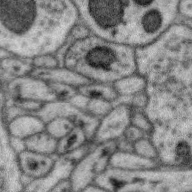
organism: Zebra finch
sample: Brain